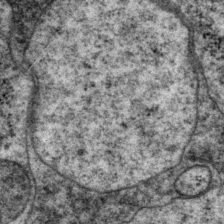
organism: P. pacificus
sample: Pharynx